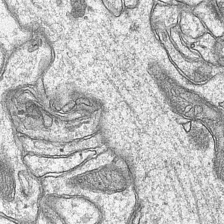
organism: Mouse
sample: CA1 Hippocampus